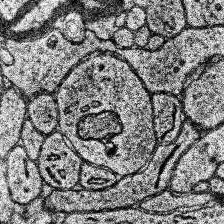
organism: Human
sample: Temporal Lobe